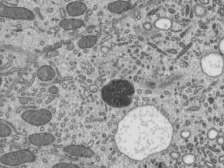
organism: Mouse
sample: Mouse epididymis efferent ductule cilia